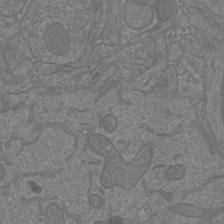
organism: Mouse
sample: Cortical neurons